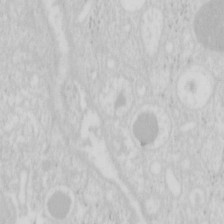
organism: Mouse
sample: Pancreas